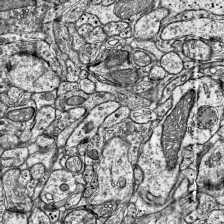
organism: Mouse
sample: Visual Cortex